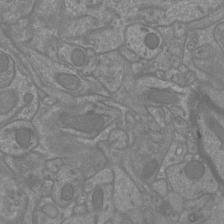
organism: Mouse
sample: Cortical neurons